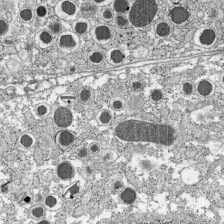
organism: C57BL Mouse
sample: Pancreatic islet